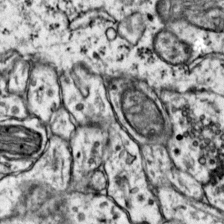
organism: Mouse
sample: Primary visual cortex